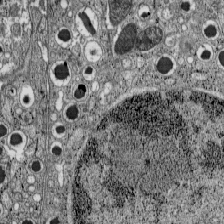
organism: C57BL Mouse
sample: Pancreatic islet